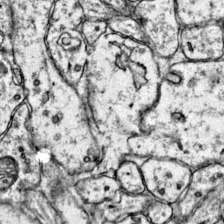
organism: Mouse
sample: Primary visual cortex